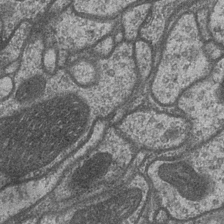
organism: Drosophila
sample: Optic medulla